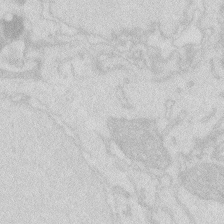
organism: Zebrafish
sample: Macrophage